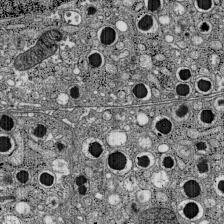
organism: C57BL Mouse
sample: Pancreatic islet